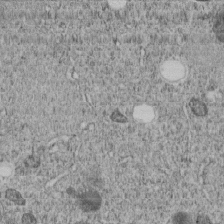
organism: C. elegans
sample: C. elegans embryo early stage